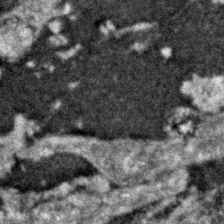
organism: Zebrafish